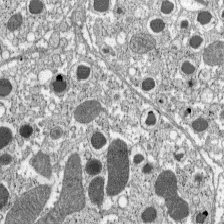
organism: C57BL Mouse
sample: Pancreatic islet